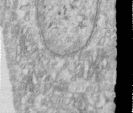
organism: Human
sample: Centriole in RPE cells